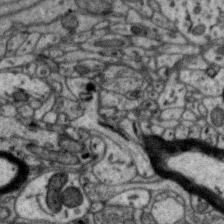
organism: Zebra finch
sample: Brain